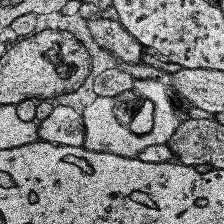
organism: Human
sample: Temporal Lobe